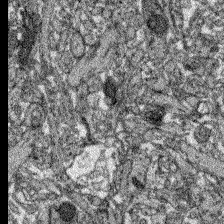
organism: Zebrafish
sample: Larval olfactory bulb